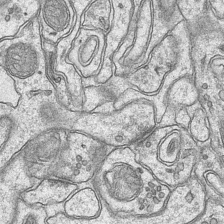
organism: Mouse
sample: CA1 Hippocampus